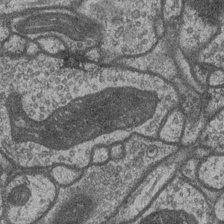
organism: Drosophila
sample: Optic medulla